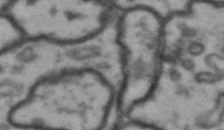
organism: Drosophila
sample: Brain